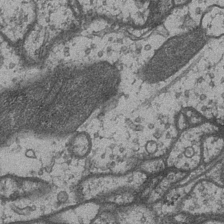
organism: Drosophila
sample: Optic medulla